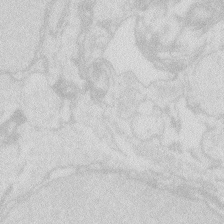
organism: Zebrafish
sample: Macrophage